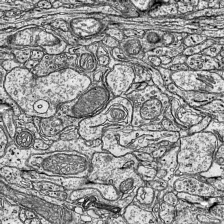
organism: Mouse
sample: Visual Cortex